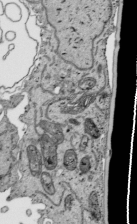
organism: Human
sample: Mitochondria in HCT116 cells